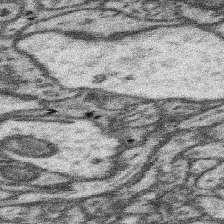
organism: Mouse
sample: Somatosensory cortex neuropil